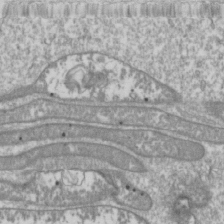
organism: Drosophila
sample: Cell division; meiosis; drosophila spermatocytes